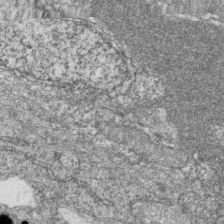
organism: Zebrafish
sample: Cilia; retinal pigment epithelium